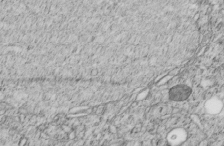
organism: C. elegans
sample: C. elegans embryo early stage